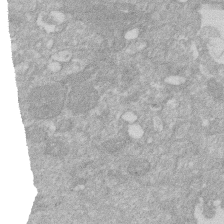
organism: Human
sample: HIV infected U937 cells